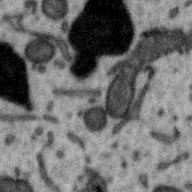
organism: Zebra finch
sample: Brain